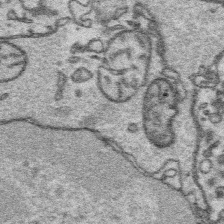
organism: Platynereis dumerilii